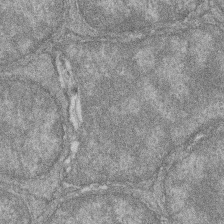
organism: Zebrafish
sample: Cilia; retinal pigment epithelium